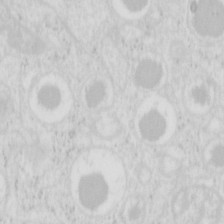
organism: Mouse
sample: Pancreas